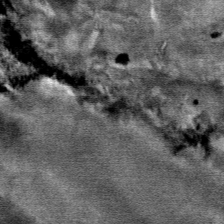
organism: Mouse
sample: Mouse Salivary gland